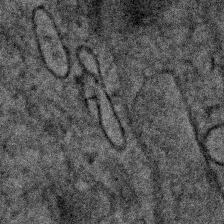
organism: Human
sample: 1205lu cells